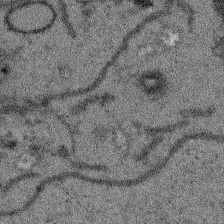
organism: Arabidopsis thaliana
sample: Root tip